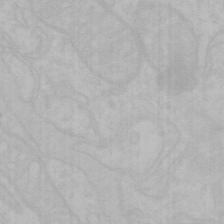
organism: Mouse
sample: Choroid plexus